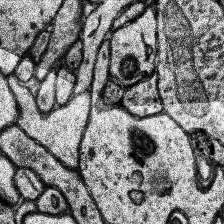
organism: Human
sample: Temporal Lobe